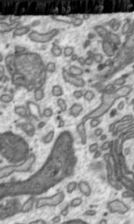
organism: Toxoplasma gondii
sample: Parasites in a vacuole inside a host cell